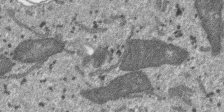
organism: Human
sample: Lung epithelial cells infected with SARS-CoV-2